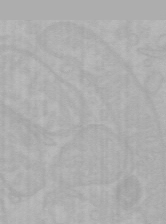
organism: Mouse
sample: Choroid plexus